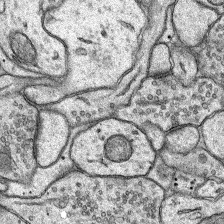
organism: Rat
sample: Hippocampus